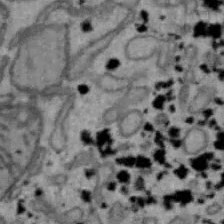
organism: Mouse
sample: Liver